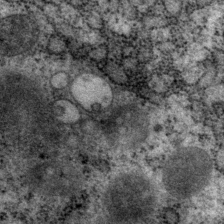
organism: P. pacificus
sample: Pharynx